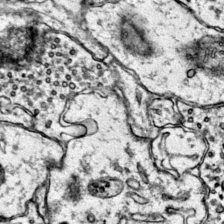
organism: Mouse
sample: Primary visual cortex